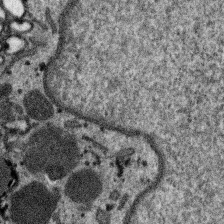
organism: Human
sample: Lung epithelial cells infected with SARS-CoV-2